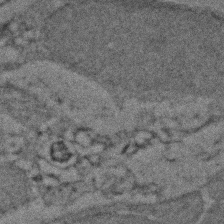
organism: Zebrafish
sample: Zebrafish embryo